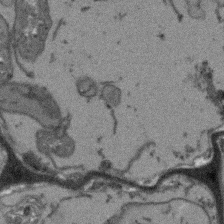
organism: Arabidopsis thaliana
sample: Root tip